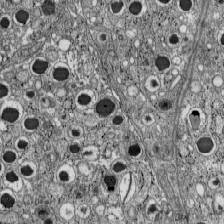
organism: C57BL Mouse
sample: Pancreatic islet